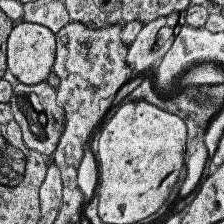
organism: Human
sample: Temporal Lobe